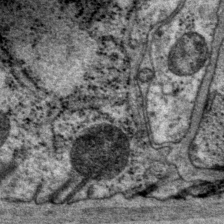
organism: P. pacificus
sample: Pharynx